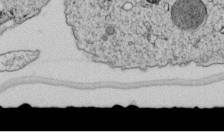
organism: C. elegans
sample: C. elegans embryo early stage